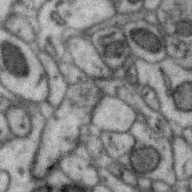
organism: Zebra finch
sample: Brain